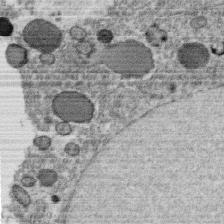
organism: C. elegans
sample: C. elegans oocyte; sperm cells